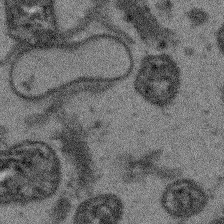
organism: Arabidopsis thaliana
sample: Root tip